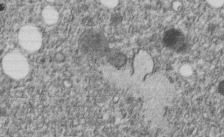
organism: C. elegans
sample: C. elegans embryo early stage